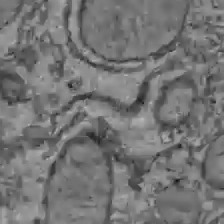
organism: C57BL Mouse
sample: Liver